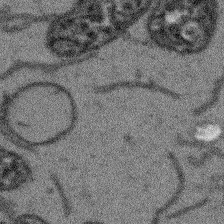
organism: Arabidopsis thaliana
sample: Root tip